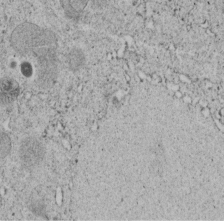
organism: C. elegans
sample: C. elegans embryo early stage